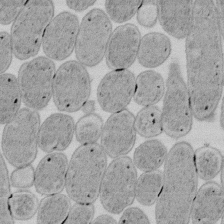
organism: E. coli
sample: Bacterial nucleoid